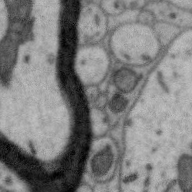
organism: Zebra finch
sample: Brain